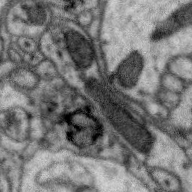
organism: Zebra finch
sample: Brain